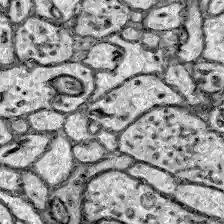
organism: Zebrafish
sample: Brain